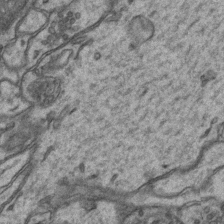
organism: Mouse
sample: CA1 Hippocampus